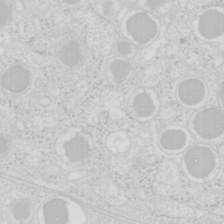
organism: Mouse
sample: Pancreas